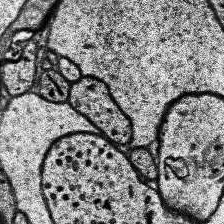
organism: Human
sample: Temporal Lobe